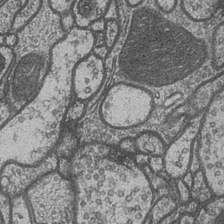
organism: Drosophila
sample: Optic medulla